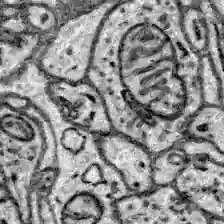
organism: Zebrafish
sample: Brain